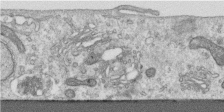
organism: Human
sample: Centriole in RPE cells